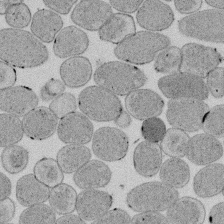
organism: E. coli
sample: Bacterial nucleoid